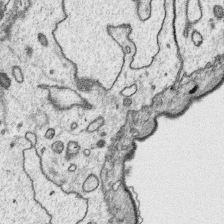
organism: Platynereis dumerilii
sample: Parapodia